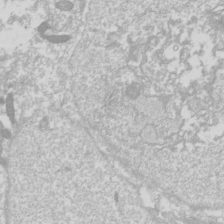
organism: Drosophila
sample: Cell division; meiosis; drosophila spermatocytes